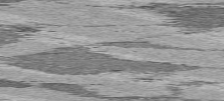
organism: C57BL Mouse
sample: Heart